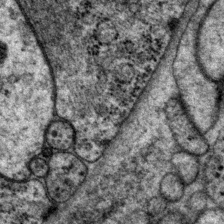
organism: P. pacificus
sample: Pharynx